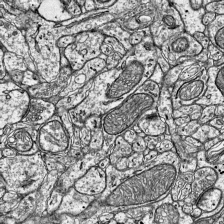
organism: Mouse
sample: Visual Cortex